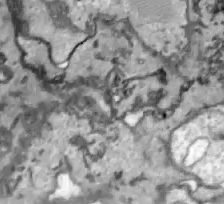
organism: Zebrafish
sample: Actinotrichia fibers